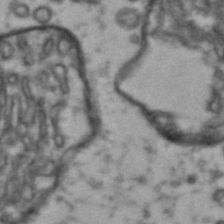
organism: Drosophila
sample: Brain